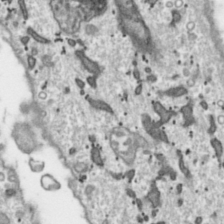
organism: Toxoplasma gondii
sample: Parasites in a vacuole inside a host cell